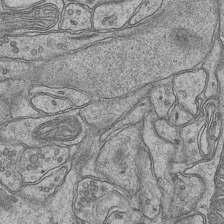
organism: Mouse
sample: CA1 Hippocampus